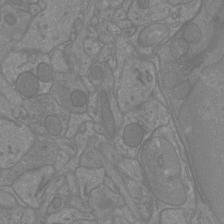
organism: Mouse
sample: Cortical neurons